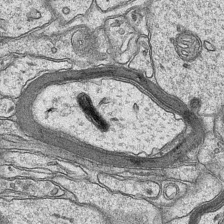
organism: Mouse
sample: CA1 Hippocampus